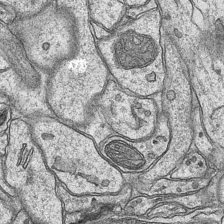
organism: Mouse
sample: CA1 Hippocampus